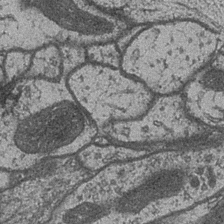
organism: Drosophila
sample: Optic medulla